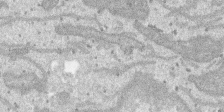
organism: Human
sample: Lung epithelial cells infected with SARS-CoV-2